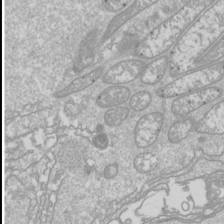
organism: Drosophila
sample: Cell division; meiosis; drosophila spermatocytes